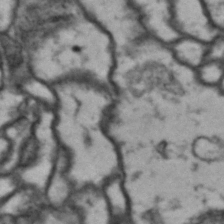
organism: Drosophila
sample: Brain